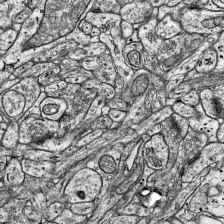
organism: Mouse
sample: Visual Cortex